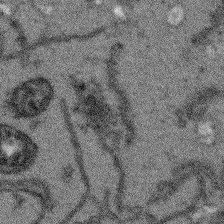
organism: Arabidopsis thaliana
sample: Root tip